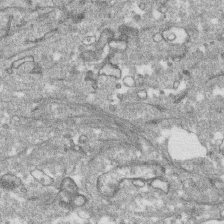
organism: Human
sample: CRL-1474